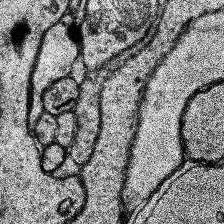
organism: Human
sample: Temporal Lobe